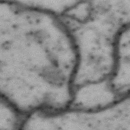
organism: Drosophila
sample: Brain